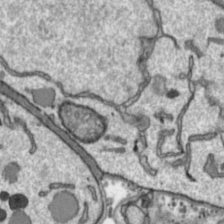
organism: Toxoplasma gondii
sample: Parasites in a vacuole inside a host cell